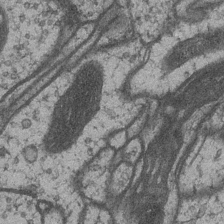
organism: Drosophila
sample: Optic medulla